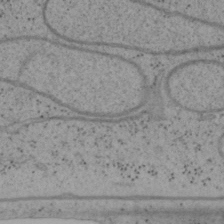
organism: Human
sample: HeLa cells